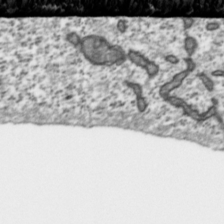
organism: Toxoplasma gondii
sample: Parasites in a vacuole inside a host cell